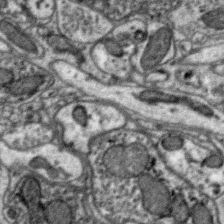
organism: Zebra finch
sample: Brain